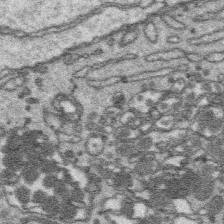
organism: Platynereis dumerilii